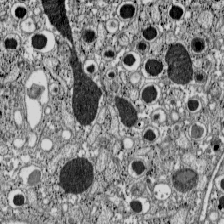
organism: C57BL Mouse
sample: Pancreatic islet